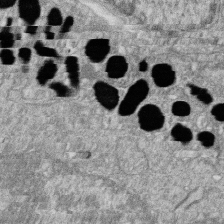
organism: Zebrafish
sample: Cilia; retinal pigment epithelium